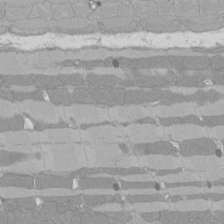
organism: Rat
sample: Left ventricle